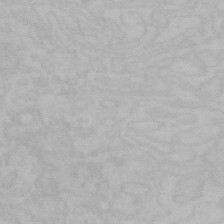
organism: Mouse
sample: Choroid plexus